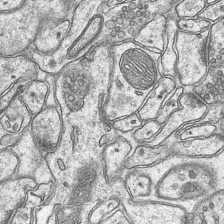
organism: Mouse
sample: CA1 Hippocampus